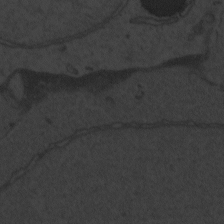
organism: Zebrafish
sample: Macrophage infected with Toxoplasma gondii